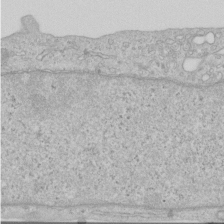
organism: Human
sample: Centriole in RPE cells